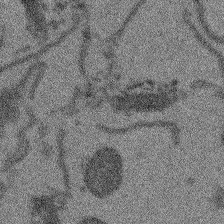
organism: Arabidopsis thaliana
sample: Root tip